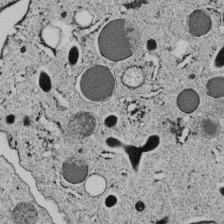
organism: C. elegans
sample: C. elegans embryo early stage